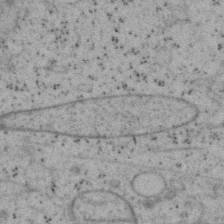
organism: Human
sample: HeLa cells